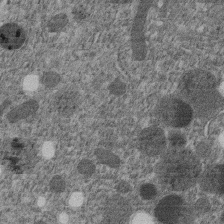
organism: C. elegans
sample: C. elegans embryo early stage